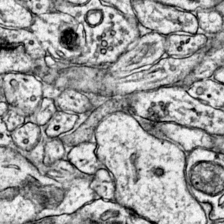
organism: Mouse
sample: Primary visual cortex